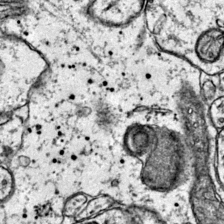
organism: Mouse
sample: Primary visual cortex